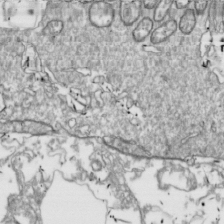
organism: Drosophila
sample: Cell division; meiosis; drosophila spermatocytes